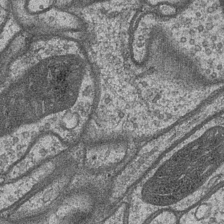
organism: Drosophila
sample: Optic medulla